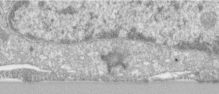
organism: Human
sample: Centriole in RPE cells